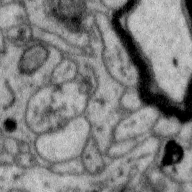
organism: Zebra finch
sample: Brain